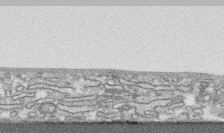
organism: Human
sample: CRL-1474